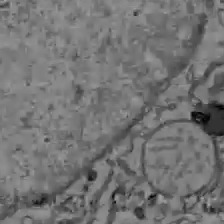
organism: C57BL Mouse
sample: Liver